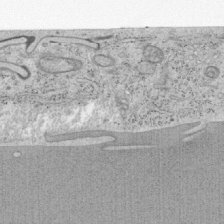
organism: Human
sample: HeLa cells